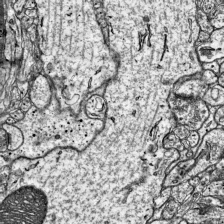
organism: Mouse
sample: Visual Cortex